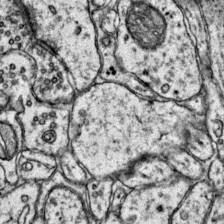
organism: Mouse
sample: Primary visual cortex